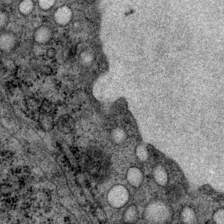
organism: P. pacificus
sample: Pharynx